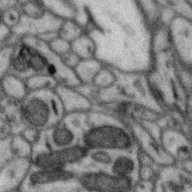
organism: Zebra finch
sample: Brain